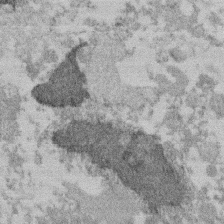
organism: Mouse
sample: Dividing mouse embryo 1 cell stage